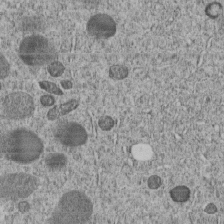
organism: C. elegans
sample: C. elegans embryo early stage